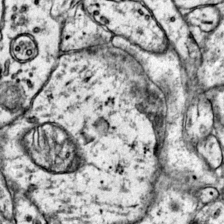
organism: Mouse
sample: Primary visual cortex